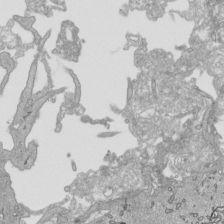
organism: Human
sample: Mitochondria in HCT116 cells